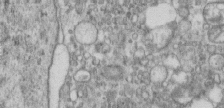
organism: Human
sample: Centriole in RPE cells